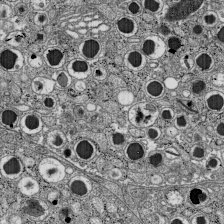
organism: C57BL Mouse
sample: Pancreatic islet